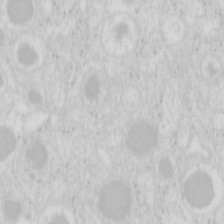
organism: Mouse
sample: Pancreas